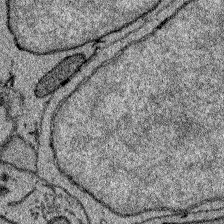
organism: Zebrafish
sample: Larval olfactory bulb